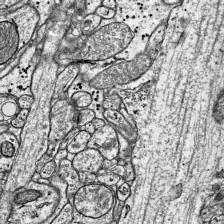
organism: Mouse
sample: Visual Cortex